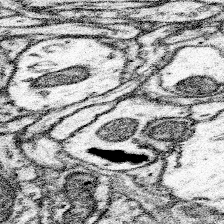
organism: Mouse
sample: Somatosensory cortex neuropil